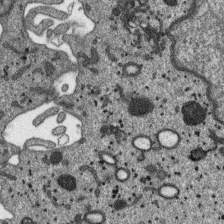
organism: Human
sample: Lung epithelial cells infected with SARS-CoV-2